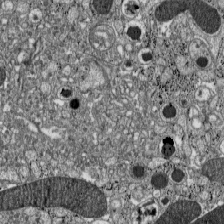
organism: C57BL Mouse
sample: Pancreatic islet